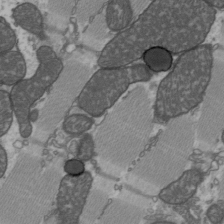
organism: C57BL Mouse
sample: Heart